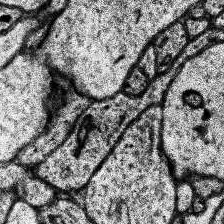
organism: Human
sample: Temporal Lobe